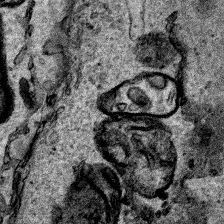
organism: Human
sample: Mitochondria in HCT116 cells